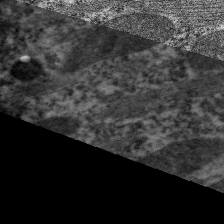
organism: C. elegans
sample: Pharynx